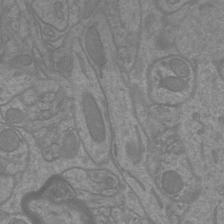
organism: Mouse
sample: Cortical neurons